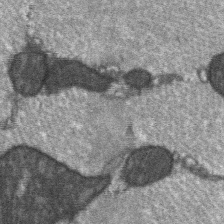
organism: C57BL Mouse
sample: Soleus